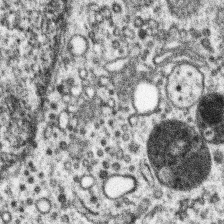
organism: Human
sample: HeLa cells